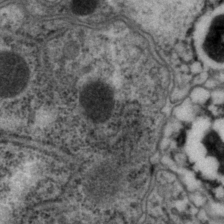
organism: P. pacificus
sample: Pharynx